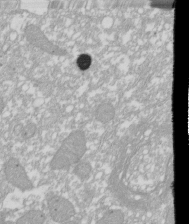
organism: Xenopus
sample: Cilia; centrioles in frog embryo cells